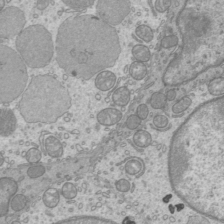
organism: Mouse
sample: Cilia; mouse epididymis